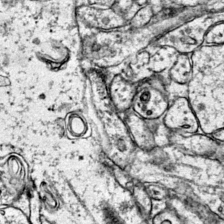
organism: Mouse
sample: Primary visual cortex